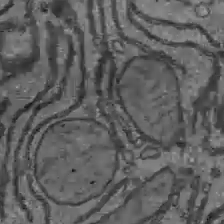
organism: C57BL Mouse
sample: Liver